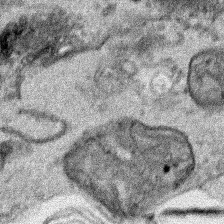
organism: Human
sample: Mitochondria in HCT116 cells